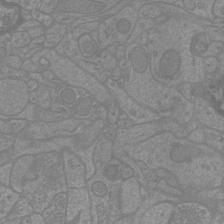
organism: Mouse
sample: Cortical neurons